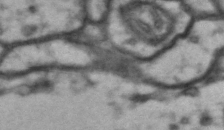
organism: Drosophila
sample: Brain